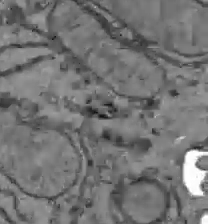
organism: C57BL Mouse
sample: Liver